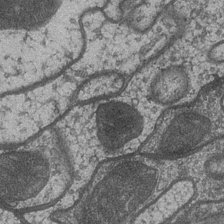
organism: Drosophila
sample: Optic medulla